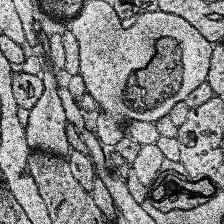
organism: Human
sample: Temporal Lobe